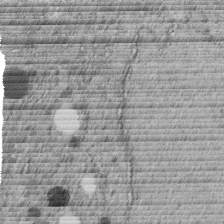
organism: C. elegans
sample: C. elegans embryo early stage